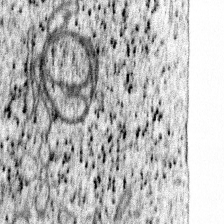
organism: Human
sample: HeLa cells